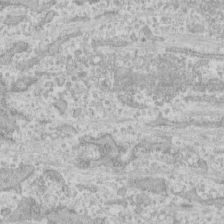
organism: Human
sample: CRL-1474